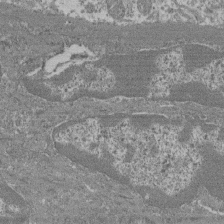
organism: Mouse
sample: Glomerulus